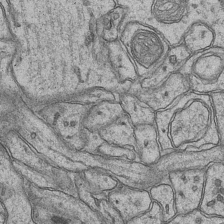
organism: Mouse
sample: CA1 Hippocampus